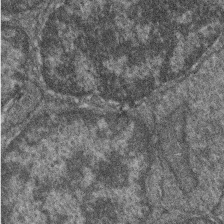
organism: Zebrafish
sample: Cilia; retinal pigment epithelium